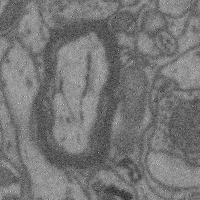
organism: Mouse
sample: Cerebral cortex